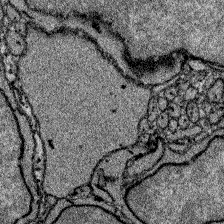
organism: Zebrafish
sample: Larval olfactory bulb